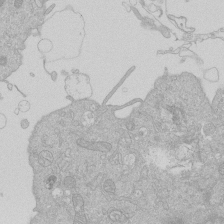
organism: Human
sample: Macrophage cells